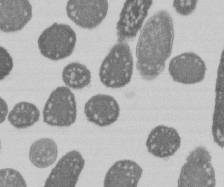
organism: E. coli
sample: Bacterial nucleoid